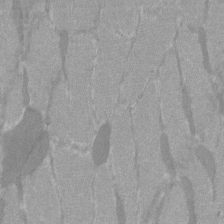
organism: C57BL Mouse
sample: Tibialis anterior muscle cell